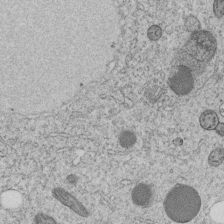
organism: C. elegans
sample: C. elegans embryo early stage